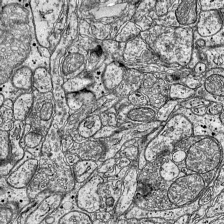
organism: Mouse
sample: Visual Cortex